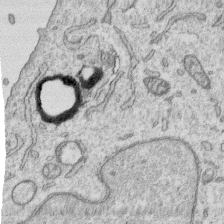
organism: Human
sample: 1205lu cells